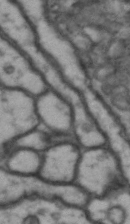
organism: Drosophila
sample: Brain